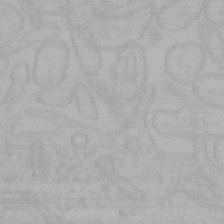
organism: Mouse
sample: Choroid plexus